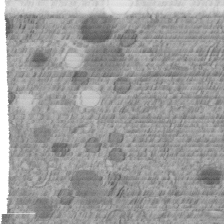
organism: C. elegans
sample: C. elegans embryo early stage